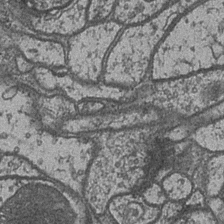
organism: Drosophila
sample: Optic medulla